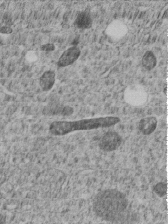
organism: C. elegans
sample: C. elegans embryo early stage